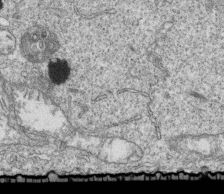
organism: Human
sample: HeLa cell HIV synapse